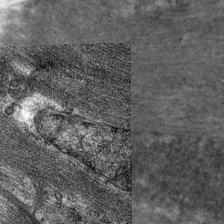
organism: C. elegans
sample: Pharynx